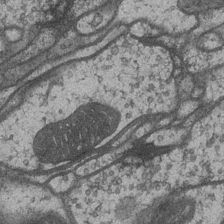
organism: Drosophila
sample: Optic medulla